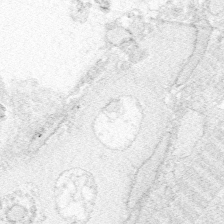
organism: Zebrafish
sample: Whole-Brain